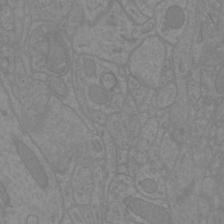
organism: Mouse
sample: Cortical neurons